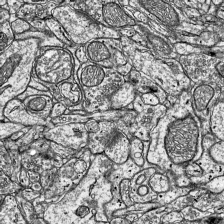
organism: Mouse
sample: Visual Cortex